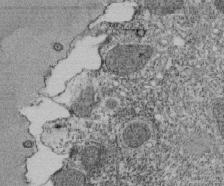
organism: Tetrahymena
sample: Cilia in tetrahymena